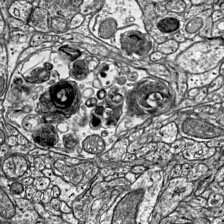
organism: Mouse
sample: Visual Cortex